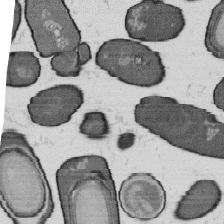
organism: B. subtilis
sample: Bacterial spore